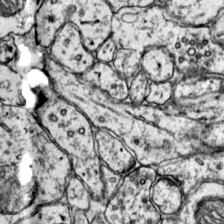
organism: Mouse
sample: Primary visual cortex